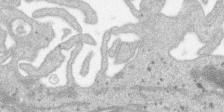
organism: Human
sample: Lung epithelial cells infected with SARS-CoV-2